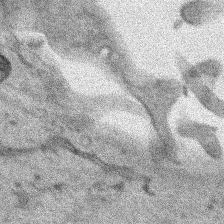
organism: Human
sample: Mitochondria in HCT116 cells